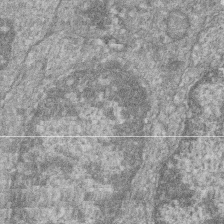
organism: Zebrafish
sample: Cilia; retinal pigment epithelium